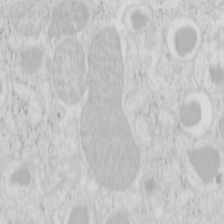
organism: Mouse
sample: Pancreas